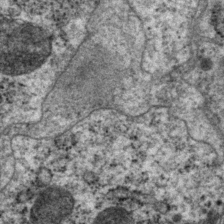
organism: P. pacificus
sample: Pharynx